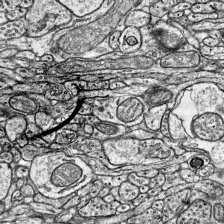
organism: Mouse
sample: Visual Cortex